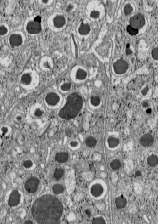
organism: C57BL Mouse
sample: Pancreatic islet